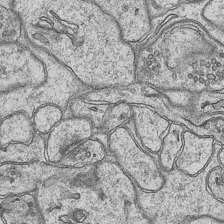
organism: Mouse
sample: CA1 Hippocampus